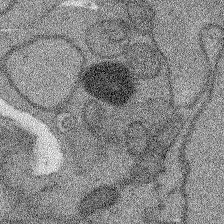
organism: Human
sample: HeLa cells